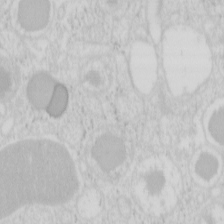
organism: Mouse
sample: Pancreas